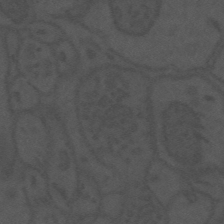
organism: Mouse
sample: Suprachiasmatic nucleus